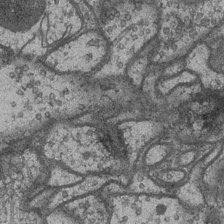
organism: Drosophila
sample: Optic medulla